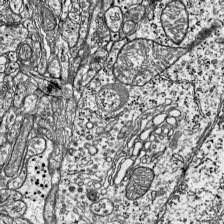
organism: Mouse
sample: Visual Cortex